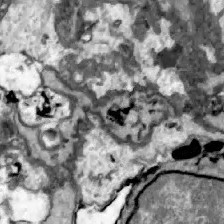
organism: Zebrafish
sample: Actinotrichia fibers